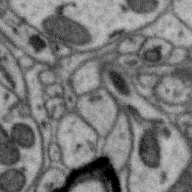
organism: Zebra finch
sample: Brain